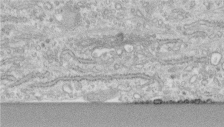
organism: Human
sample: Centriole in fibroblast cells